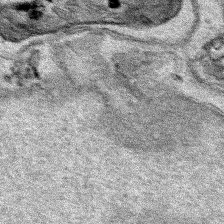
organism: Human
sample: Mitochondria in HCT116 cells